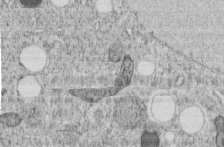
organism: C. elegans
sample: C. elegans embryo early stage